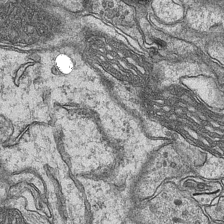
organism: Mouse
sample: CA1 Hippocampus